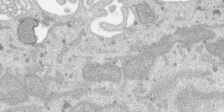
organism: Human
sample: Lung epithelial cells infected with SARS-CoV-2